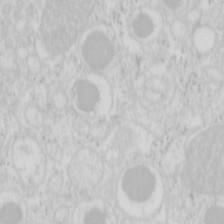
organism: Mouse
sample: Pancreas